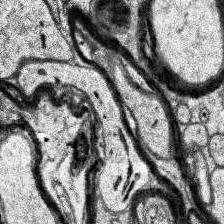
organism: Human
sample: Temporal Lobe